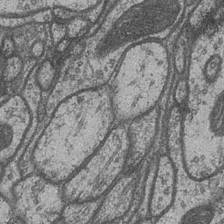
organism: Drosophila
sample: Optic medulla